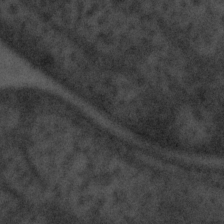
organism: Tuwongella immobilis